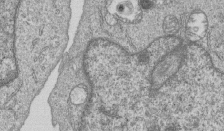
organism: Human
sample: MDA-MB-231 cells